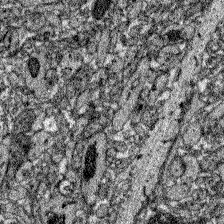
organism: Zebrafish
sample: Larval olfactory bulb